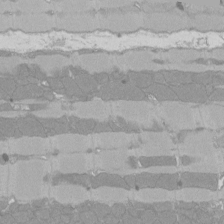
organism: Rat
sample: Left ventricle